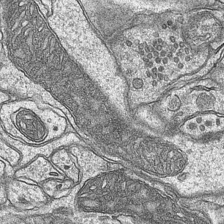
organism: Mouse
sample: CA1 Hippocampus